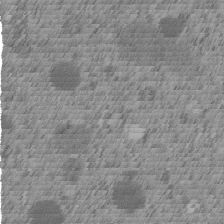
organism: C. elegans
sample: C. elegans embryo early stage